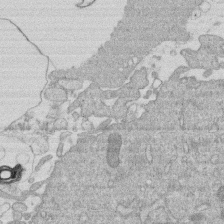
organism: Human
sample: Macrophage cells